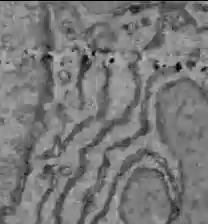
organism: C57BL Mouse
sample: Liver